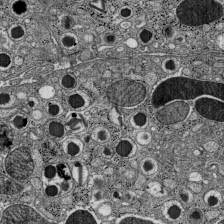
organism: C57BL Mouse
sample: Pancreatic islet